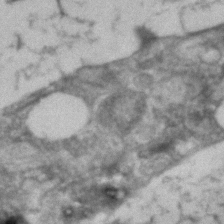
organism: Human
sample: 1205lu cells